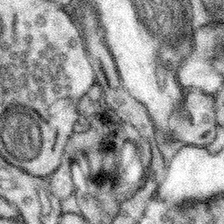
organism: Mouse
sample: Somatosensory cortex neuropil